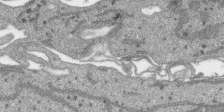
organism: Human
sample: Lung epithelial cells infected with SARS-CoV-2